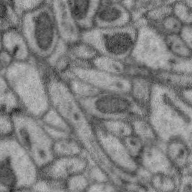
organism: Zebra finch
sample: Brain